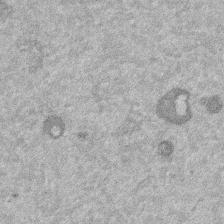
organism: Mouse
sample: Dividing mouse embryo 1 cell stage